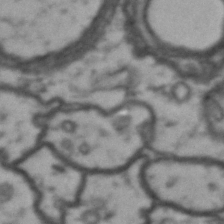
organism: Drosophila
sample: Brain